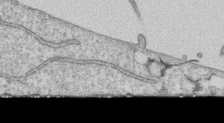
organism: Human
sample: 1205lu cells